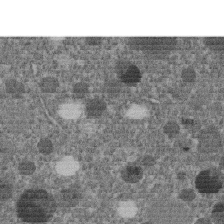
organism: C. elegans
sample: C. elegans embryo early stage